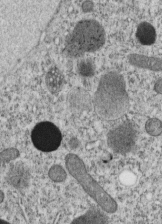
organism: C. elegans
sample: C. elegans embryo early stage